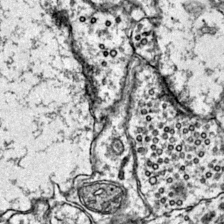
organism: Mouse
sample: Primary visual cortex